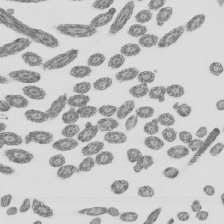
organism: Mouse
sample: Mouse epididymis efferent ductule cilia